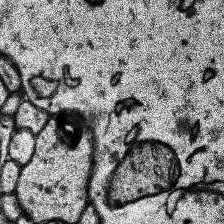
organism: Human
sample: Temporal Lobe